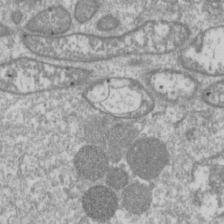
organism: Drosophila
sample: Cell division; meiosis; drosophila spermatocytes